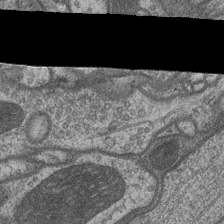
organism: Drosophila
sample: Optic medulla